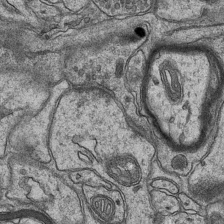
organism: Mouse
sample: CA1 Hippocampus